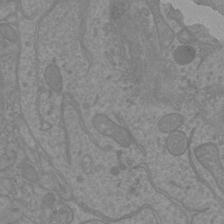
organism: Mouse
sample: Cortical neurons